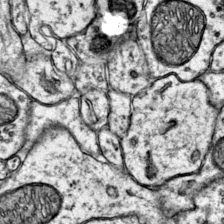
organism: Mouse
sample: Primary visual cortex